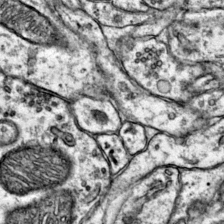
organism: Mouse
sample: Primary visual cortex